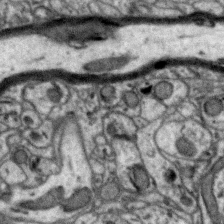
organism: Zebra finch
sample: Brain